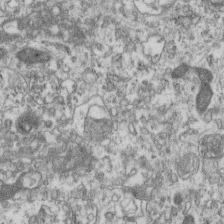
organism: Mouse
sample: Centriole in ependymal cells